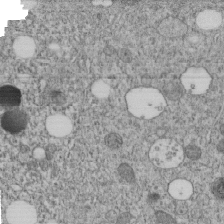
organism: C. elegans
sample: C. elegans embryo early stage